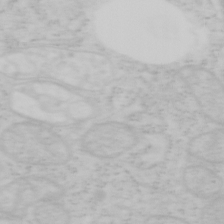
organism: Mouse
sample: OT-I killer T cells with ID8 ovarian cancer cells